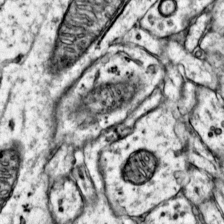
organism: Mouse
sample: Primary visual cortex